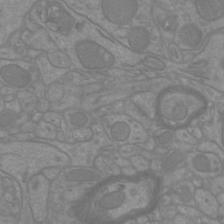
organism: Mouse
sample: Cortical neurons